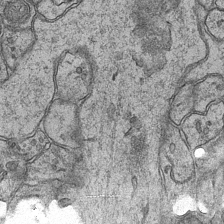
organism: Mouse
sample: CA1 Hippocampus